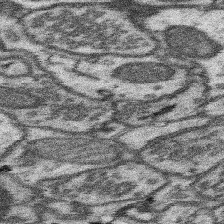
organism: Mouse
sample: Somatosensory cortex neuropil